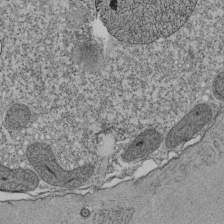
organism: Tetrahymena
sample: Cilia in tetrahymena